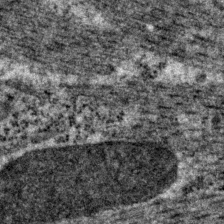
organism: P. pacificus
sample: Pharynx